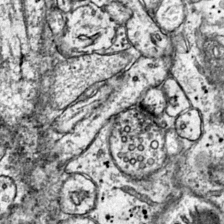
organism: Mouse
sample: Primary visual cortex